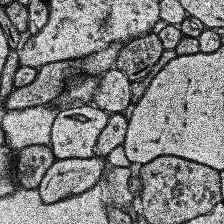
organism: Human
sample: Temporal Lobe